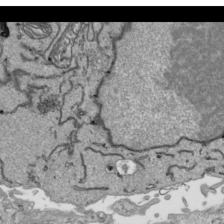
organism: Human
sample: Mitochondria in HCT116 cells